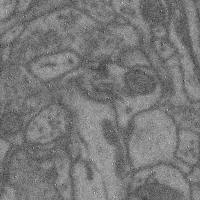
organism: Mouse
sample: Cerebral cortex